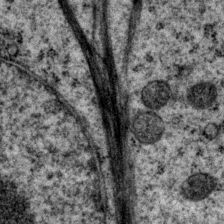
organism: P. pacificus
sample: Pharynx